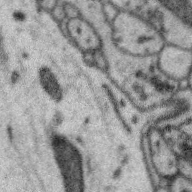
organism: Zebra finch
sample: Brain